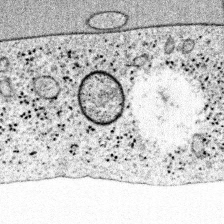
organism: Human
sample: HeLa cells